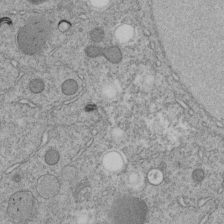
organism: C. elegans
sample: C. elegans embryo early stage